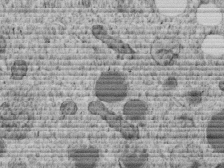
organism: C. elegans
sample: C. elegans embryo early stage